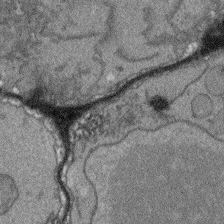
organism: Arabidopsis thaliana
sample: Root tip